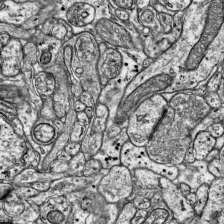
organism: Mouse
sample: Visual Cortex